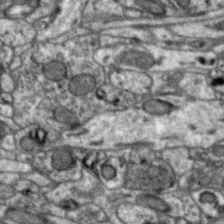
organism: Zebra finch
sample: Brain